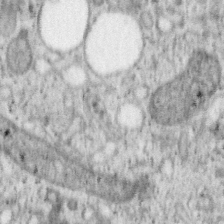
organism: Mouse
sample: OT-I killer T cells with ID8 ovarian cancer cells